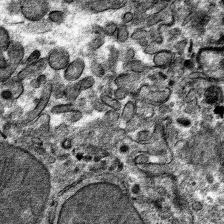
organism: Mouse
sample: Mouse hepatocytes